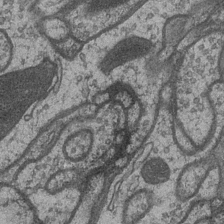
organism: Drosophila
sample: Optic medulla